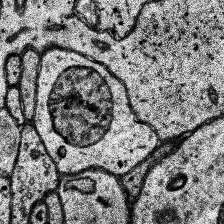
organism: Human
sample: Temporal Lobe